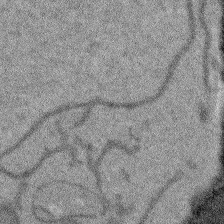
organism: Arabidopsis thaliana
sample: Root tip